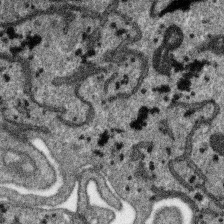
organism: Human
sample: Lung epithelial cells infected with SARS-CoV-2